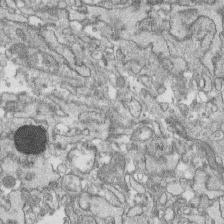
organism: Human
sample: CRL-1474